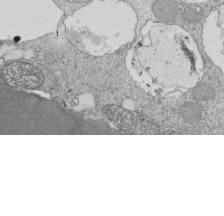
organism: Tetrahymena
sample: Cilia in tetrahymena